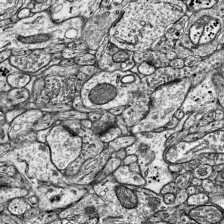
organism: Mouse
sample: Visual Cortex